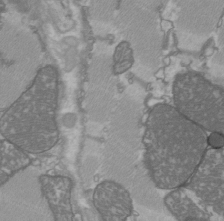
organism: C57BL Mouse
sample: Heart